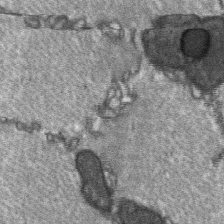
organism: C57BL Mouse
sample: Soleus